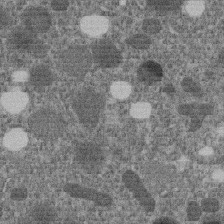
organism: C. elegans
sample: C. elegans embryo early stage